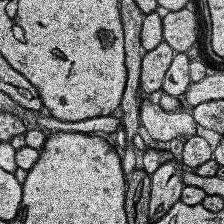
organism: Human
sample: Temporal Lobe